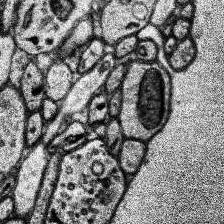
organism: Human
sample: Temporal Lobe